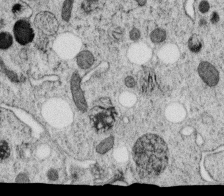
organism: C. elegans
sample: C. elegans oocyte; sperm cells